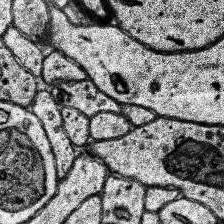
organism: Human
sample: Temporal Lobe